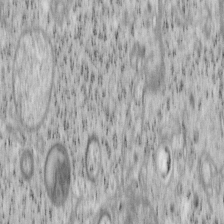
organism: Human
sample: HeLa cells